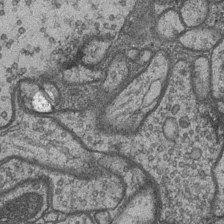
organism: Drosophila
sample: Optic medulla